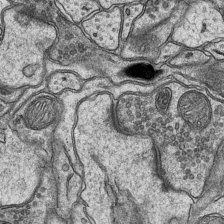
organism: Mouse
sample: CA1 Hippocampus